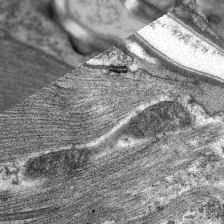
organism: C. elegans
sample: Pharynx